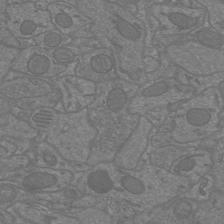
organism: Mouse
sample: Cortical neurons